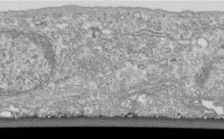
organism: Human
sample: Centriole in fibroblast cells